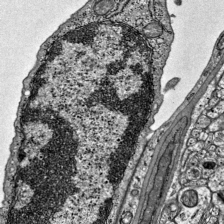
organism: Mouse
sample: Visual Cortex